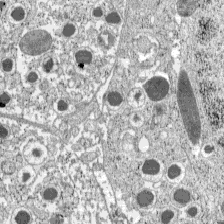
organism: C57BL Mouse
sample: Pancreatic islet